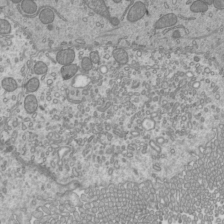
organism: Mouse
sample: Cilia; mouse epididymis